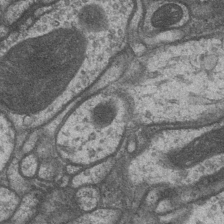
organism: Drosophila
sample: Optic medulla